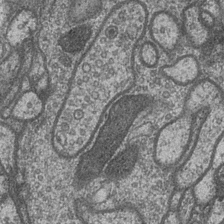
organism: Drosophila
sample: Optic medulla